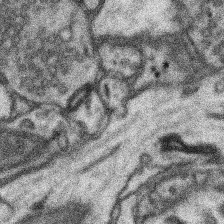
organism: Mouse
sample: Somatosensory cortex neuropil